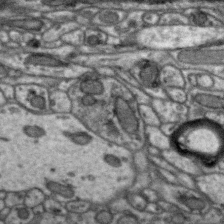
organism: Zebra finch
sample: Brain